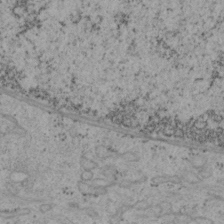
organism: Human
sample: HeLa cells